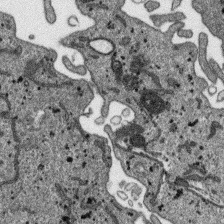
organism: Human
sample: Lung epithelial cells infected with SARS-CoV-2